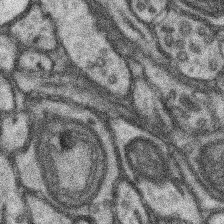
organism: Mouse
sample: Somatosensory cortex neuropil